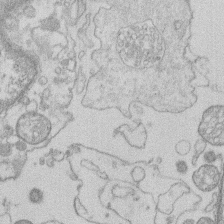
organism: Human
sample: Macrophage cells